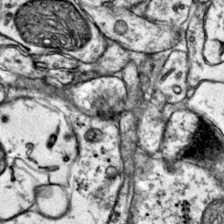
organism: Mouse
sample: Primary visual cortex